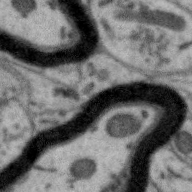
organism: Zebra finch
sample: Brain